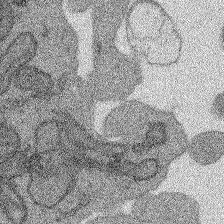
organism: Human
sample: HeLa cells